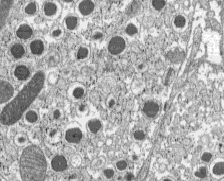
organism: C57BL Mouse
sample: Pancreatic islet